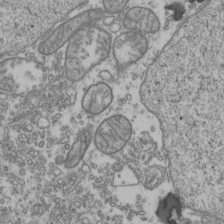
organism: Human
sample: Activated Jurkat CD4+ T cells